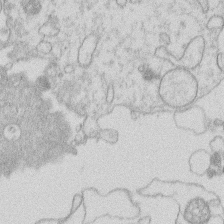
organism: Human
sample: Macrophage cells